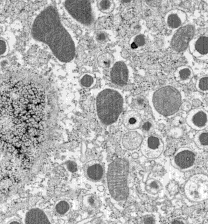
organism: C57BL Mouse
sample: Pancreatic islet